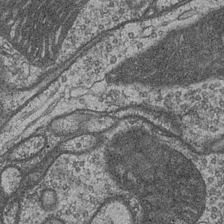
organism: Drosophila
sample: Optic medulla